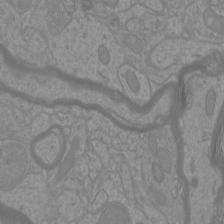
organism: Mouse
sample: Cortical neurons